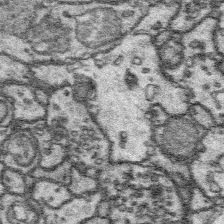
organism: Platynereis dumerilii